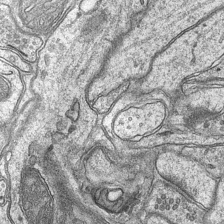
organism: Mouse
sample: CA1 Hippocampus